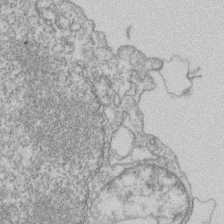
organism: Mouse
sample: T cell stromal cell synapse